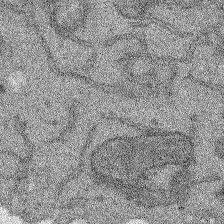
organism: Human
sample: HeLa cells